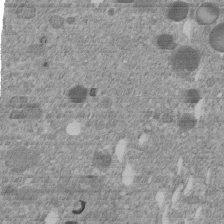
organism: C. elegans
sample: C. elegans embryo early stage